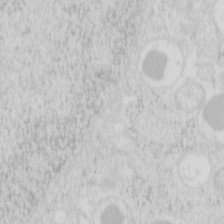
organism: Mouse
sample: Pancreas